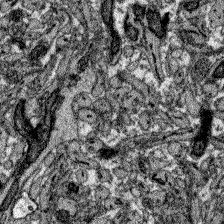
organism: Zebrafish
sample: Larval olfactory bulb